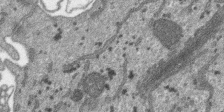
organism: Human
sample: Lung epithelial cells infected with SARS-CoV-2